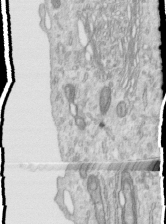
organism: Human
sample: Centriole in RPE cells